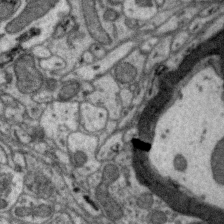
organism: Zebra finch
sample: Brain